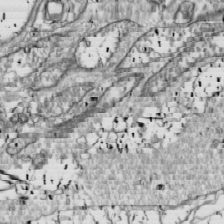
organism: Drosophila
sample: Cell division; meiosis; drosophila spermatocytes